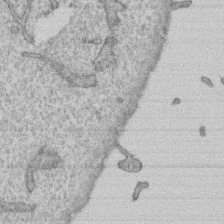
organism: Human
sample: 1205lu cells